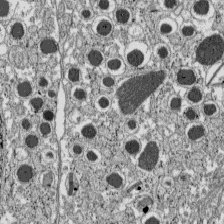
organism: C57BL Mouse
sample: Pancreatic islet